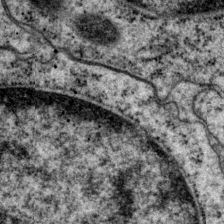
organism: P. pacificus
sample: Pharynx